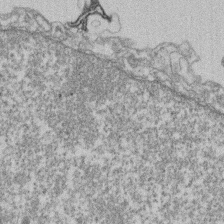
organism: Mouse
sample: T cell stromal cell synapse